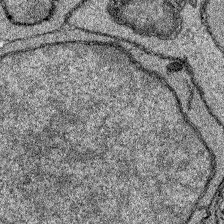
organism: Zebrafish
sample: Larval olfactory bulb